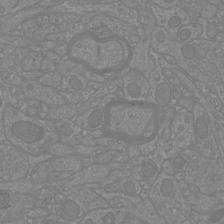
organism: Mouse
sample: Cortical neurons